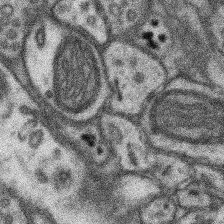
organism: Mouse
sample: Somatosensory cortex neuropil